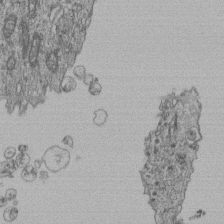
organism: Human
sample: Retinal organoid Rod and Cone cells